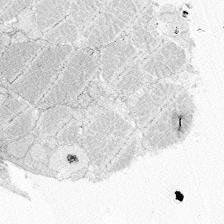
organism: Zebrafish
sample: Whole-Brain